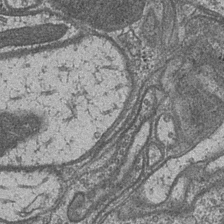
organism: Drosophila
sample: Optic medulla